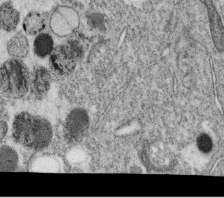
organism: C. elegans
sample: C. elegans oocyte; sperm cells